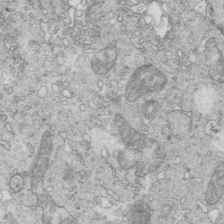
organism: Mouse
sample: Multiciliated cells